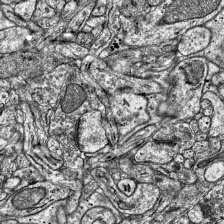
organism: Mouse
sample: Visual Cortex